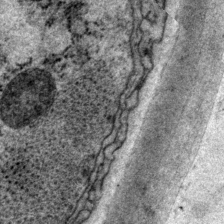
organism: P. pacificus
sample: Pharynx